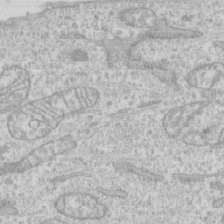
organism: Human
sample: CRL-1474